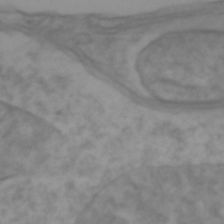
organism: Zebrafish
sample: Zebrafish embryo